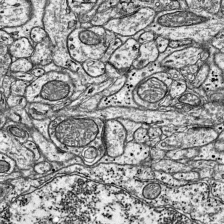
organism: Mouse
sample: Visual Cortex